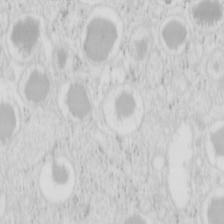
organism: Mouse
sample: Pancreas